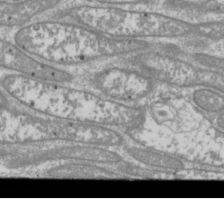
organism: Drosophila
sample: Cell division; meiosis; drosophila spermatocytes